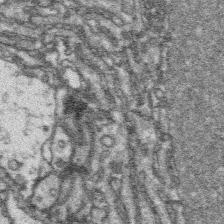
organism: Platynereis dumerilii